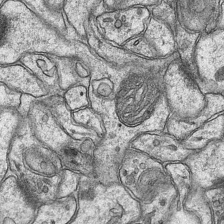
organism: Mouse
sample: CA1 Hippocampus